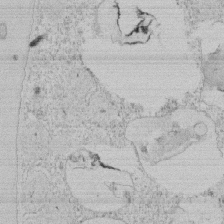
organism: Tetrahymena